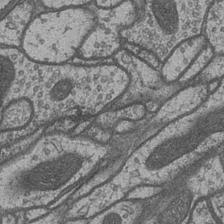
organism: Drosophila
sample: Optic medulla